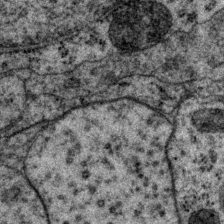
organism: P. pacificus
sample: Pharynx